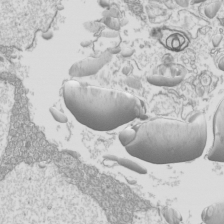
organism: Mouse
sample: Cilia; mouse epididymis